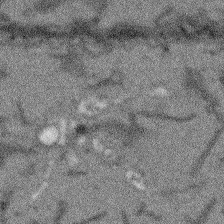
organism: Arabidopsis thaliana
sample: Root tip